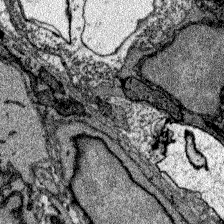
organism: Zebrafish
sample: Larval olfactory bulb